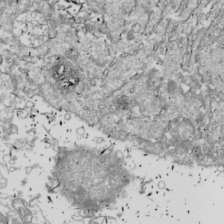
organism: Drosophila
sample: Cell division; meiosis; drosophila spermatocytes